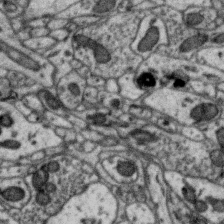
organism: Zebra finch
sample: Brain